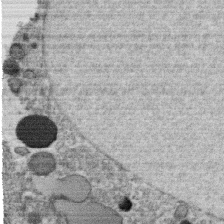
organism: C. elegans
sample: C. elegans oocyte; sperm cells